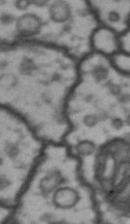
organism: Drosophila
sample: Brain